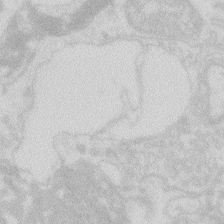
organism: Zebrafish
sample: Macrophage